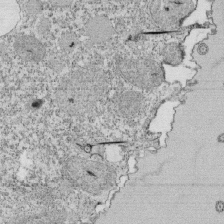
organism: Tetrahymena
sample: Cilia in tetrahymena